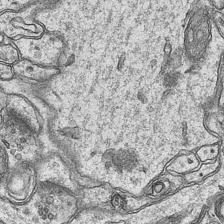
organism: Mouse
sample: CA1 Hippocampus